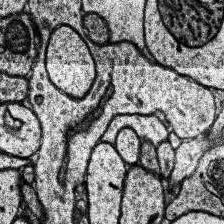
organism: Human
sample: Temporal Lobe